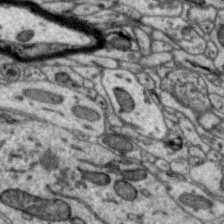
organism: Zebra finch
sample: Brain